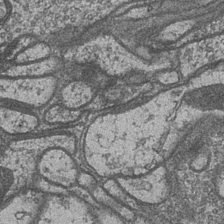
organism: Drosophila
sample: Optic medulla